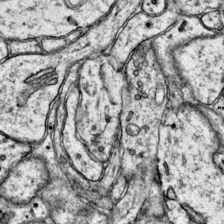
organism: Mouse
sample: Primary visual cortex